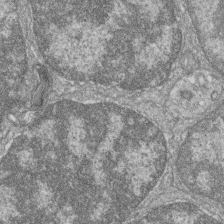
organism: Zebrafish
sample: Cilia; retinal pigment epithelium